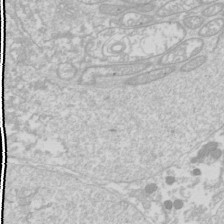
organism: Drosophila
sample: Cell division; meiosis; drosophila spermatocytes